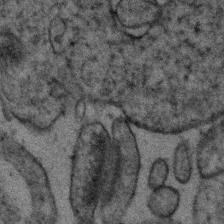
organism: Human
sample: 1205lu cells